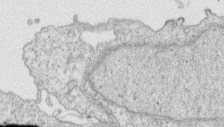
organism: Human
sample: HeLa cell HIV synapse